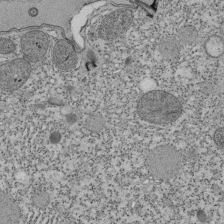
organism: Tetrahymena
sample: Cilia in tetrahymena